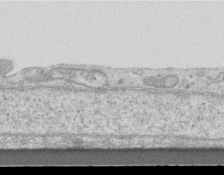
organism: Mouse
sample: Centriole in ependymal cells